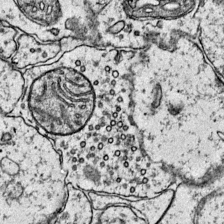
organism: Mouse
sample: Primary visual cortex